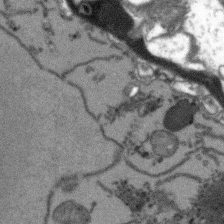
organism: Arabidopsis thaliana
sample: Root tip